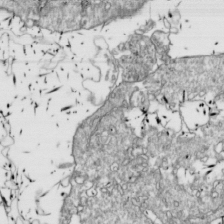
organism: Drosophila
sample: Cell division; meiosis; drosophila spermatocytes